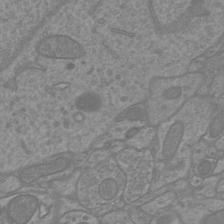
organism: Mouse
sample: Cortical neurons